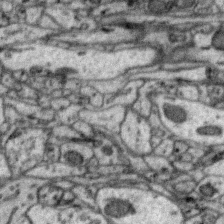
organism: Zebra finch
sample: Brain